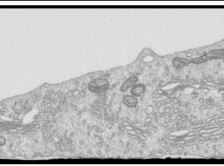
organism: Human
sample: Centriole in RPE cells